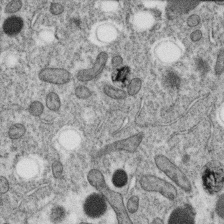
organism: C. elegans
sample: C. elegans oocyte; sperm cells